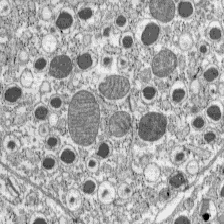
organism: C57BL Mouse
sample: Pancreatic islet